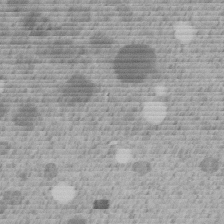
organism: C. elegans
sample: C. elegans embryo early stage